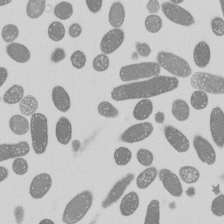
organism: E. coli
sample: Bacterial nucleoid